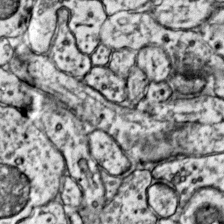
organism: Mouse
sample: Primary visual cortex